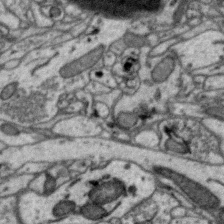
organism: Zebra finch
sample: Brain